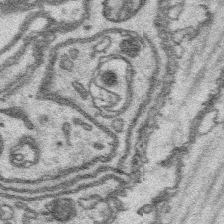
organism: Platynereis dumerilii